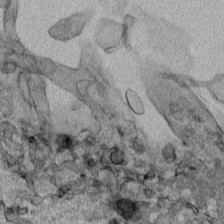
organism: Human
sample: Mitochondria in HCT116 cells